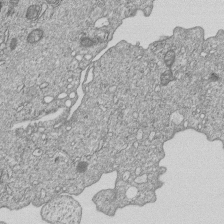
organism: Human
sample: MDA-MB-231 cells